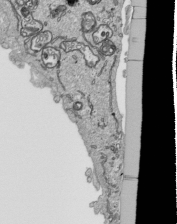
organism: Human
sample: Mitochondria in HCT116 cells